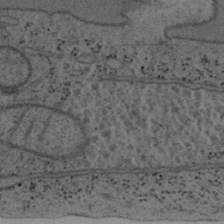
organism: Human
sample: HeLa cells